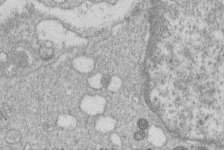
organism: Human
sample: Macrophage cells